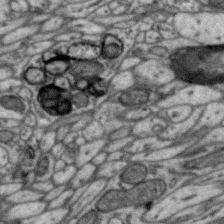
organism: Zebra finch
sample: Brain